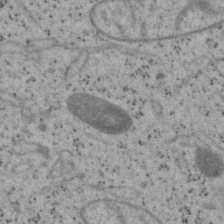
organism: Human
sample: HeLa cells